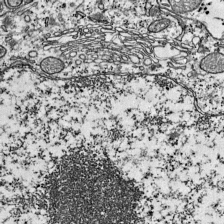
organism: Mouse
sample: Visual Cortex